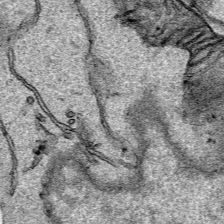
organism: Human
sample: Mitochondria in HCT116 cells